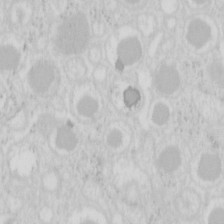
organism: Mouse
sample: Pancreas